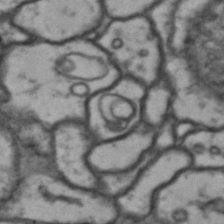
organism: Drosophila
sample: Brain